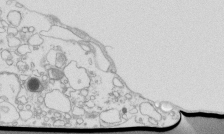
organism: Mouse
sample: Macrophages